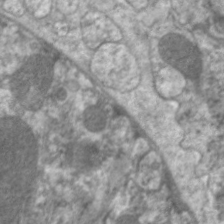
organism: C. elegans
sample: Pharynx